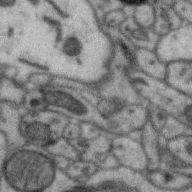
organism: Zebra finch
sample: Brain